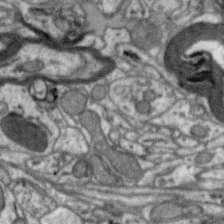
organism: Zebra finch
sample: Brain